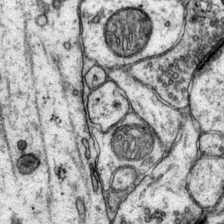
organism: Mouse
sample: Primary visual cortex